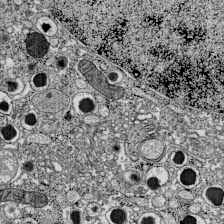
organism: C57BL Mouse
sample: Pancreatic islet